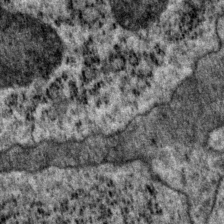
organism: P. pacificus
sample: Pharynx